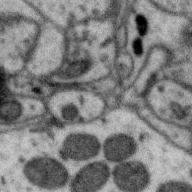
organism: Zebra finch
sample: Brain